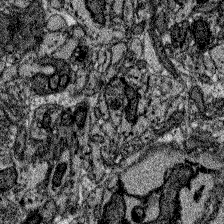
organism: Zebrafish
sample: Larval olfactory bulb